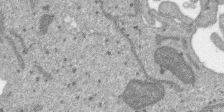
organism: Human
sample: Lung epithelial cells infected with SARS-CoV-2